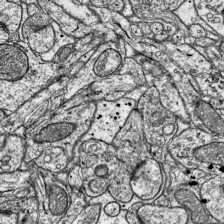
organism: Mouse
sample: Visual Cortex